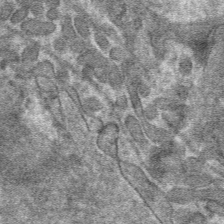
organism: Mouse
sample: Mouse hepatocytes